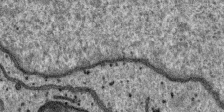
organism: Human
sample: Lung epithelial cells, uninfected (mock) control